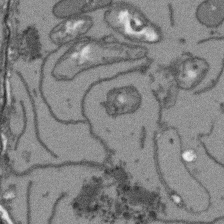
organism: Arabidopsis thaliana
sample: Root tip